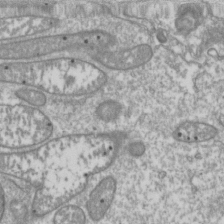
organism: Drosophila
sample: Cell division; meiosis; drosophila spermatocytes